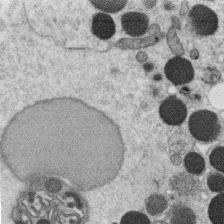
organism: C. elegans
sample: C. elegans oocyte; sperm cells